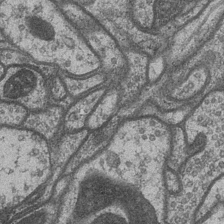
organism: Drosophila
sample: Optic medulla